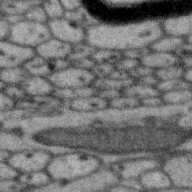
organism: Zebra finch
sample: Brain